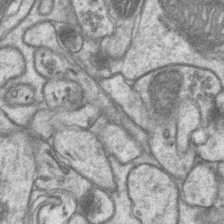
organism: Mouse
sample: CA1 Hippocampus